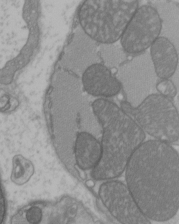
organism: C57BL Mouse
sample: Heart